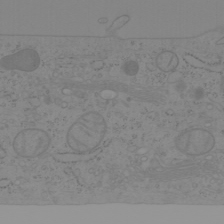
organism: Human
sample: HeLa cells